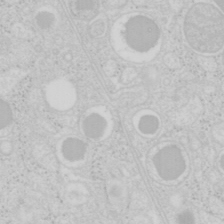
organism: Mouse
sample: Pancreas